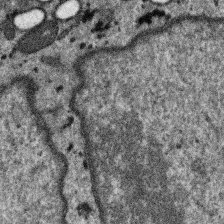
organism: Human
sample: Lung epithelial cells infected with SARS-CoV-2